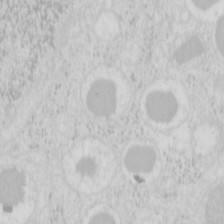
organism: Mouse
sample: Pancreas